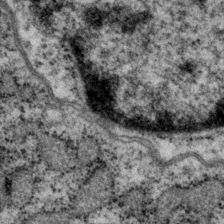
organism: P. pacificus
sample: Pharynx